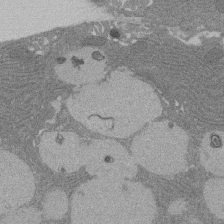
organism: Rat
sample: Salivary granule